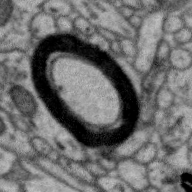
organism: Zebra finch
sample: Brain